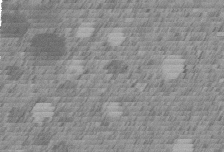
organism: C. elegans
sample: C. elegans embryo early stage